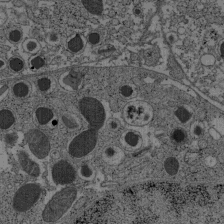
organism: C57BL Mouse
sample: Pancreatic islet